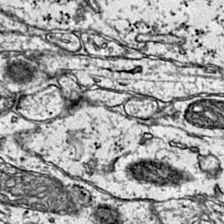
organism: Mouse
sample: Primary visual cortex